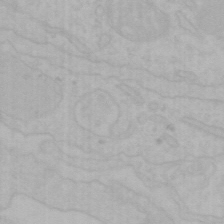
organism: Mouse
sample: Choroid plexus